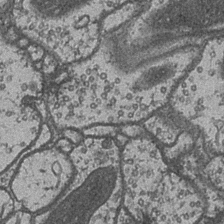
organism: Drosophila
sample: Optic medulla